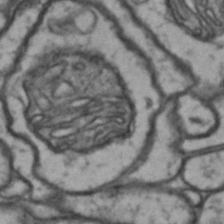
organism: Drosophila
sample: Brain